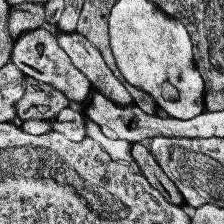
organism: Human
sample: Temporal Lobe